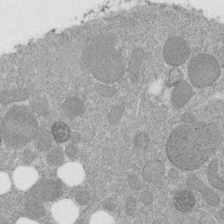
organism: C. elegans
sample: C. elegans embryo early stage